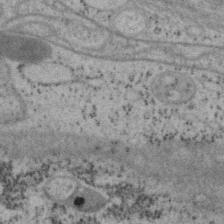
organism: Human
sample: HeLa cells